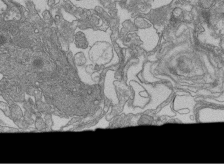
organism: Human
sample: Retinal organoid Rod and Cone cells